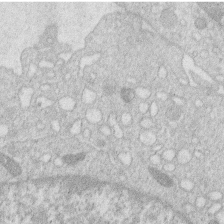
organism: Human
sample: Macrophage cells